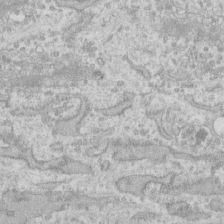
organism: Human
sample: Fibroblast cells